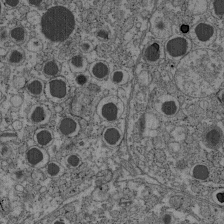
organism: C57BL Mouse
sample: Pancreatic islet